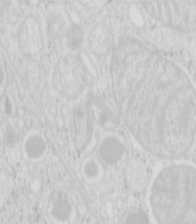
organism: Mouse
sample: Pancreas